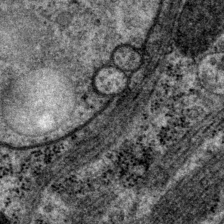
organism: P. pacificus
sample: Pharynx